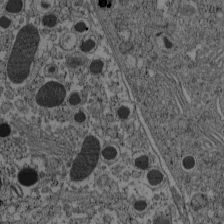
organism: C57BL Mouse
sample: Pancreatic islet